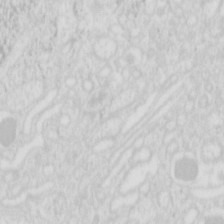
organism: Mouse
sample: Pancreas